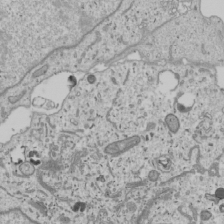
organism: Human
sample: Mitochondria in U2OS cells